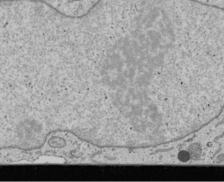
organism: Human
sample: Mitochondria in U2OS cells